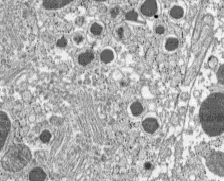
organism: C57BL Mouse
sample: Pancreatic islet